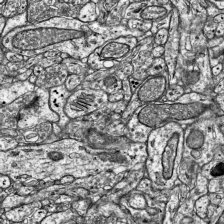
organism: Mouse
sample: Visual Cortex